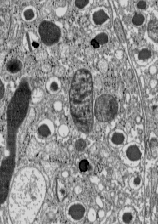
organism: C57BL Mouse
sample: Pancreatic islet